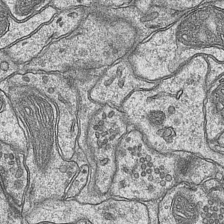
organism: Mouse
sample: CA1 Hippocampus